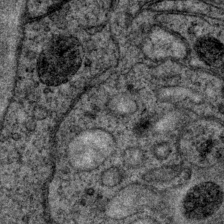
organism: P. pacificus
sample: Pharynx